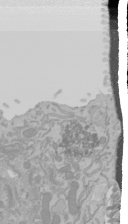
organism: Mouse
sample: Cancer cell death in ED-1 cells